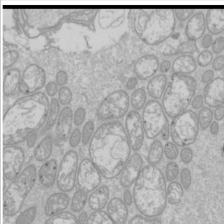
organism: Drosophila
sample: Cell division; meiosis; drosophila spermatocytes